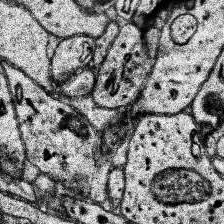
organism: Human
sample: Temporal Lobe